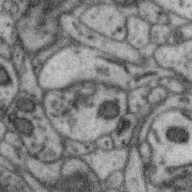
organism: Zebra finch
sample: Brain